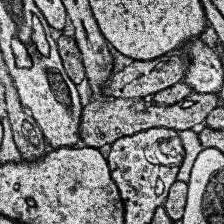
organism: Human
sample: Temporal Lobe